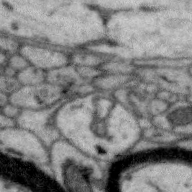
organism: Zebra finch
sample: Brain